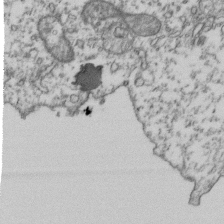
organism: Human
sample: Activated Jurkat CD4+ T cells